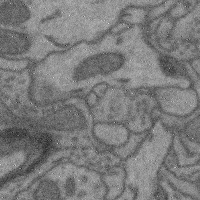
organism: Mouse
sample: Cerebral cortex